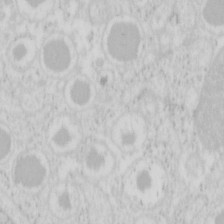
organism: Mouse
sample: Pancreas